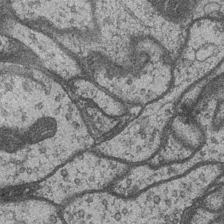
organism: Drosophila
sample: Optic medulla